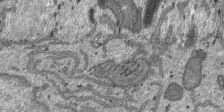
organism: Human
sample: Lung epithelial cells infected with SARS-CoV-2